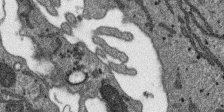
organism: Human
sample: Lung epithelial cells infected with SARS-CoV-2